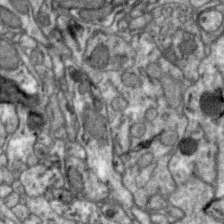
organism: Zebra finch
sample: Brain